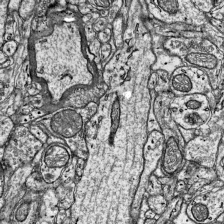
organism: Mouse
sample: Visual Cortex